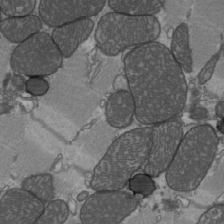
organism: C57BL Mouse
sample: Heart